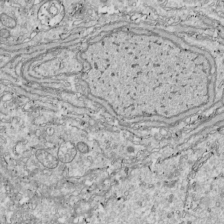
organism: Drosophila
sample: Cell division; meiosis; drosophila spermatocytes